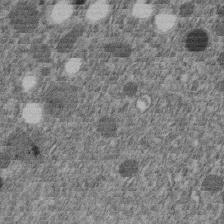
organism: C. elegans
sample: C. elegans embryo early stage